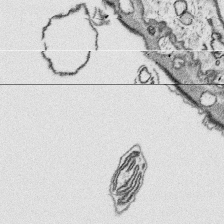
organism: Platynereis dumerilii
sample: Parapodia